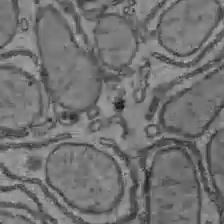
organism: C57BL Mouse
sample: Liver